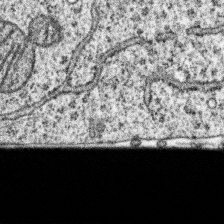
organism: Human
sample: HeLa cells